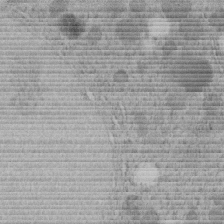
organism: C. elegans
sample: C. elegans embryo early stage